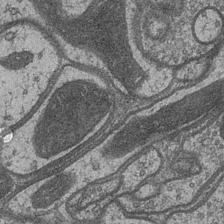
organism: Drosophila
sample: Optic medulla